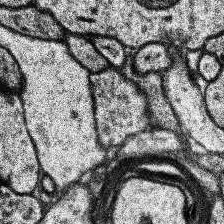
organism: Human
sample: Temporal Lobe